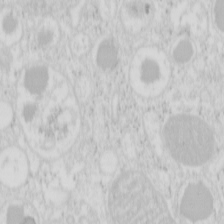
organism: Mouse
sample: Pancreas